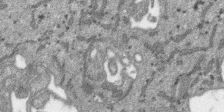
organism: Human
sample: Lung epithelial cells infected with SARS-CoV-2